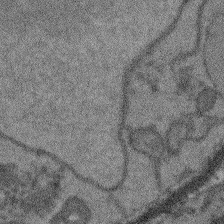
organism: Arabidopsis thaliana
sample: Root tip